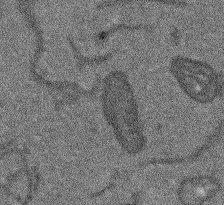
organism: Arabidopsis thaliana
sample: Root tip